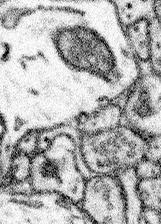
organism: Mouse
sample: Somatosensory cortex neuropil